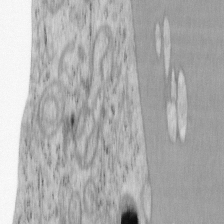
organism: Human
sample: HeLa cells